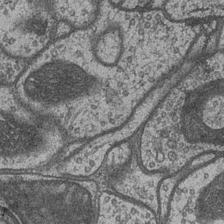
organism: Drosophila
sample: Optic medulla